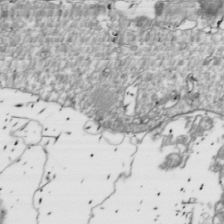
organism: Drosophila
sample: Cell division; meiosis; drosophila spermatocytes